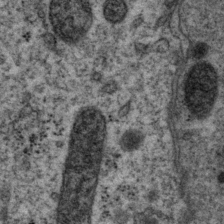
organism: P. pacificus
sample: Pharynx